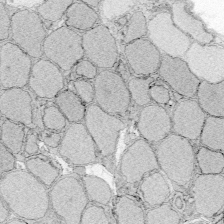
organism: Zebrafish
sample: Whole-Brain